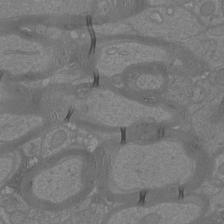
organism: Mouse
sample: Cortical neurons